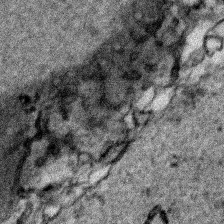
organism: Human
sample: Mitochondria in HCT116 cells